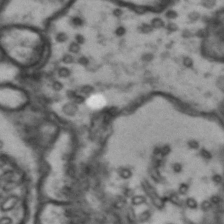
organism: Drosophila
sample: Brain